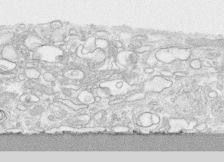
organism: Human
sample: CRL-1474